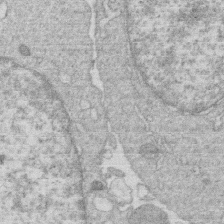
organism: Human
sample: Macrophage cells